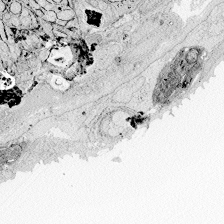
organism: Zebrafish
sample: Whole-Brain